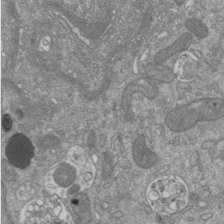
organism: Mouse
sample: ED-1 cell nuclei; centrioles